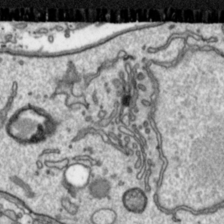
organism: Toxoplasma gondii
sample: Parasites in a vacuole inside a host cell